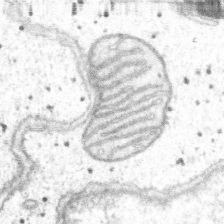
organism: Human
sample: HeLa cells